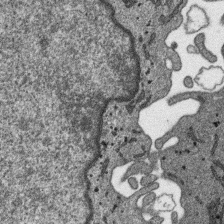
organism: Human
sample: Lung epithelial cells infected with SARS-CoV-2